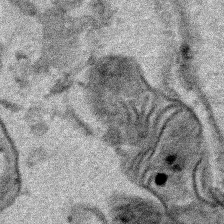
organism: Human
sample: Mitochondria in HCT116 cells